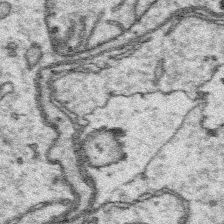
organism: Platynereis dumerilii